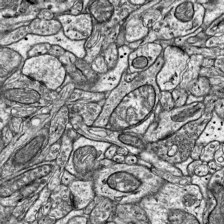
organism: Mouse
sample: Visual Cortex